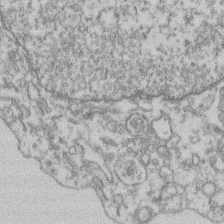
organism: Mouse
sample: T cell stromal cell synapse